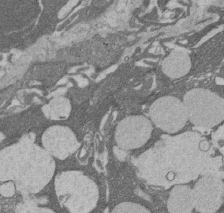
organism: Rat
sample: Salivary granule